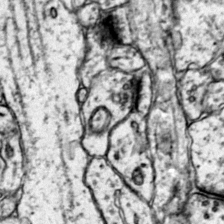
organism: Mouse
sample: Primary visual cortex